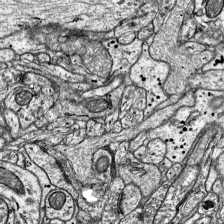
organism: Mouse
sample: Visual Cortex